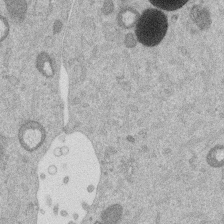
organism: Mouse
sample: Dividing mouse embryo 1 cell stage